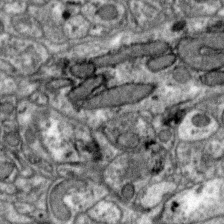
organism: Zebra finch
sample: Brain